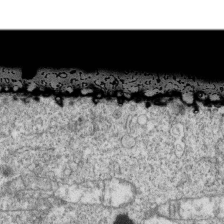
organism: Human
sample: HeLa cell HIV synapse